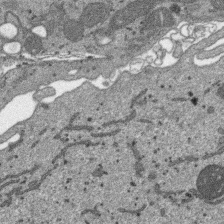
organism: Human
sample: Lung epithelial cells infected with SARS-CoV-2